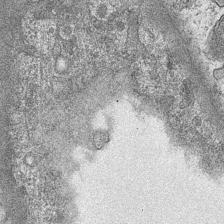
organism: Mouse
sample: CA1 Hippocampus